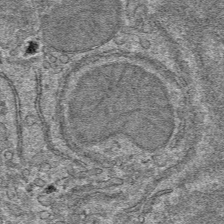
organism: Mouse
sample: Mouse hepatocytes